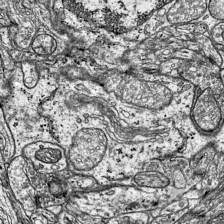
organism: Mouse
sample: Visual Cortex